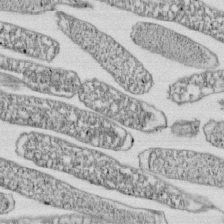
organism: E. coli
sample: Bacterial nucleoid